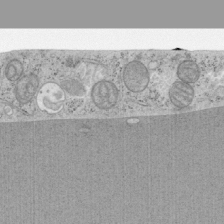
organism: Human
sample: HeLa cells